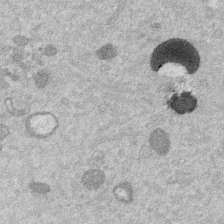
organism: Mouse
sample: Dividing mouse embryo 1 cell stage